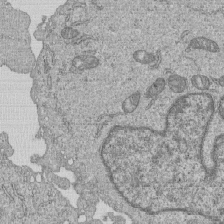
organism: Human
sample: MDA-MB-231 cells